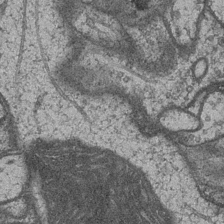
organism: Drosophila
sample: Optic medulla